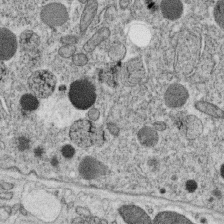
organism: C. elegans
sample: C. elegans oocyte; sperm cells